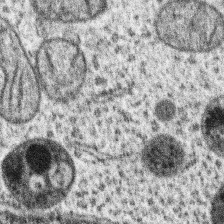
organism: Human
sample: HeLa cells